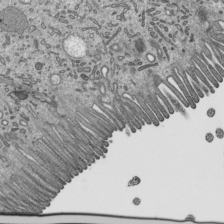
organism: Mouse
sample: Mouse epididymis efferent ductule cilia